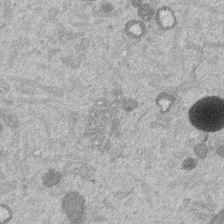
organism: Mouse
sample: Dividing mouse embryo 1 cell stage